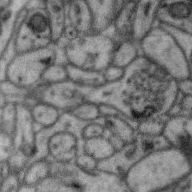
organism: Zebra finch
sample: Brain